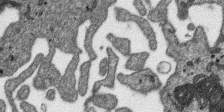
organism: Human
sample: Lung epithelial cells infected with SARS-CoV-2